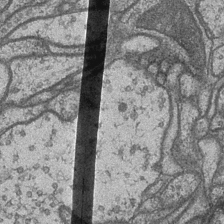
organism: Drosophila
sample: Optic medulla